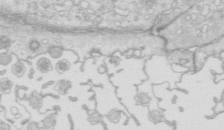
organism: Mouse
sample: Multiciliated cells